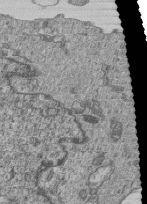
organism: Human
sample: MDA-MB-231 cells